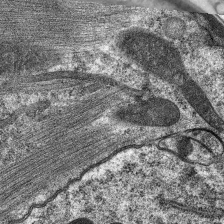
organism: C. elegans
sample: Pharynx